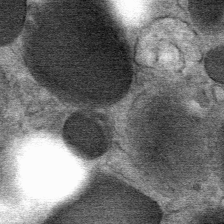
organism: Mouse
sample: Mouse Salivary gland